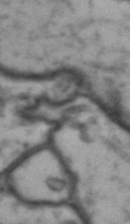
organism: Drosophila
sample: Brain